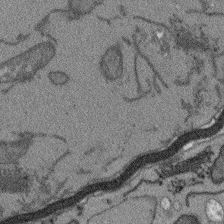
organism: Arabidopsis thaliana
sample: Root tip